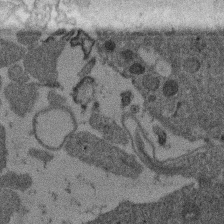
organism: Mouse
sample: Dividing mouse embryo 1 cell stage